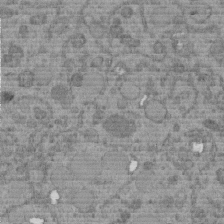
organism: C. elegans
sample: C. elegans embryo early stage